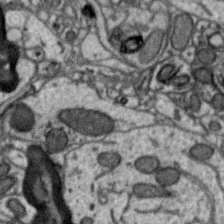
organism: Zebra finch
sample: Brain